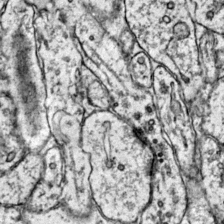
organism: Mouse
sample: Primary visual cortex